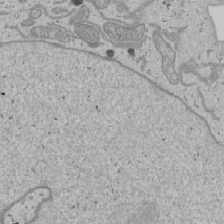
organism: Human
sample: Mitochondria in U2OS cells